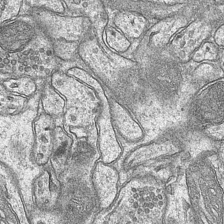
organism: Mouse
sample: CA1 Hippocampus